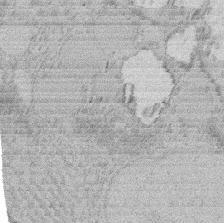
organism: Rat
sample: Salivary granule